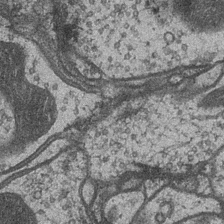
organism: Drosophila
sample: Optic medulla